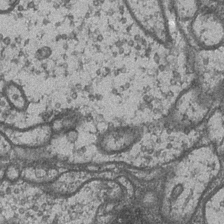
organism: Drosophila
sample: Optic medulla